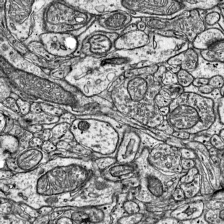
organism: Mouse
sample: Visual Cortex